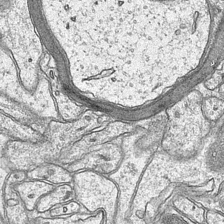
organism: Mouse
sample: CA1 Hippocampus